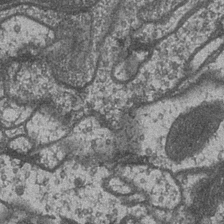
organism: Drosophila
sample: Optic medulla